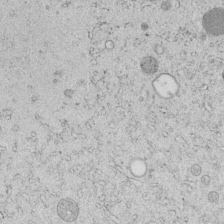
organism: C. elegans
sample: C. elegans embryo early stage